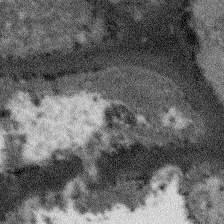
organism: Arabidopsis thaliana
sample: Root tip